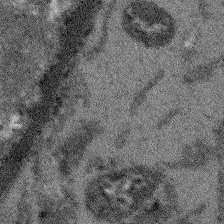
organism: Arabidopsis thaliana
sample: Root tip